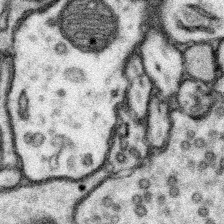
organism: Mouse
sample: Somatosensory cortex neuropil